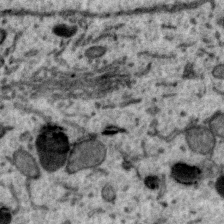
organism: Zebra finch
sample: Brain